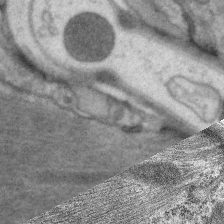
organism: C. elegans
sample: Pharynx